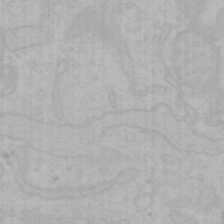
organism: Mouse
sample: Choroid plexus